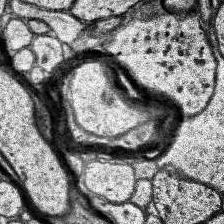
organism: Human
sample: Temporal Lobe